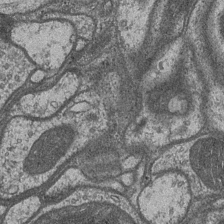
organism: Drosophila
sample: Optic medulla